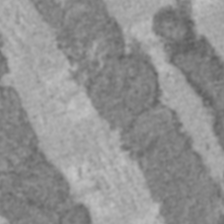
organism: C57BL Mouse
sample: Heart